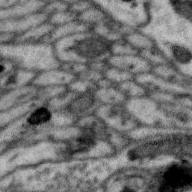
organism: Zebra finch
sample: Brain